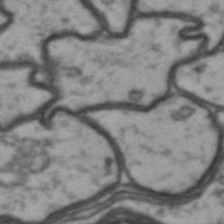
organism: Drosophila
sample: Brain